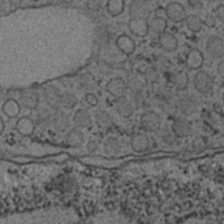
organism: C. elegans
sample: C. elegans embryo